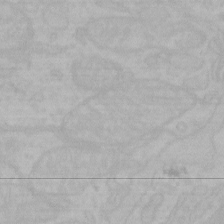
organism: Mouse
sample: Choroid plexus